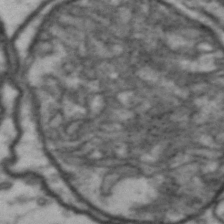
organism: Drosophila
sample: Brain